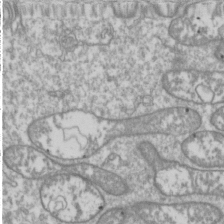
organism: Drosophila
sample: Cell division; meiosis; drosophila spermatocytes